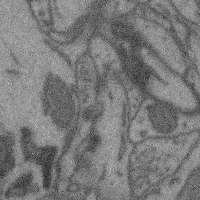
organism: Mouse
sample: Cerebral cortex